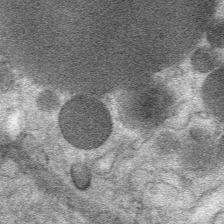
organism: Mouse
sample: Mouse Salivary gland